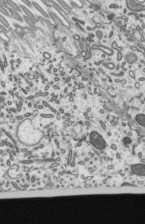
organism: Mouse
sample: Mouse epididymis efferent ductule cilia